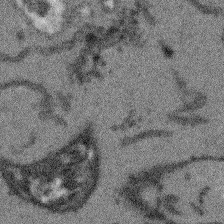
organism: Arabidopsis thaliana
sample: Root tip